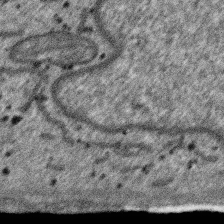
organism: Human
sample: Lung epithelial cells infected with SARS-CoV-2